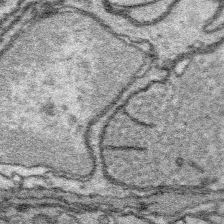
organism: Platynereis dumerilii